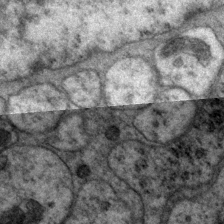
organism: P. pacificus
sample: Pharynx